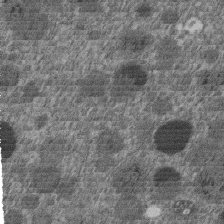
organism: C. elegans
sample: C. elegans embryo early stage